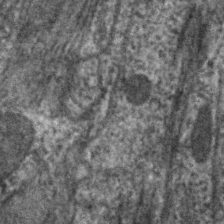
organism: C. elegans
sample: Pharynx